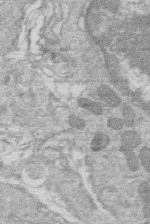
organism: Human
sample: Macrophage cells